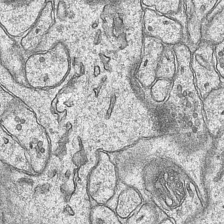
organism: Mouse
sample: CA1 Hippocampus